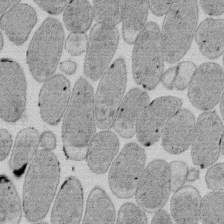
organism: E. coli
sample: Bacterial nucleoid